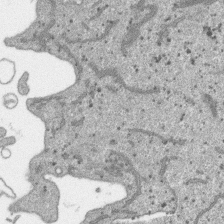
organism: Human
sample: Lung epithelial cells infected with SARS-CoV-2